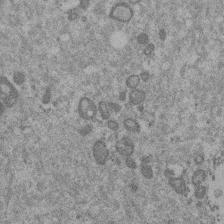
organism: Mouse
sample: Dividing mouse embryo 1 cell stage